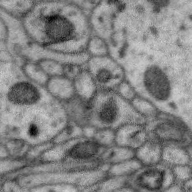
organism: Zebra finch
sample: Brain